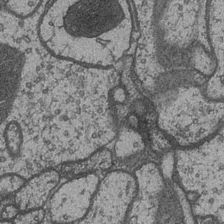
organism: Drosophila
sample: Optic medulla